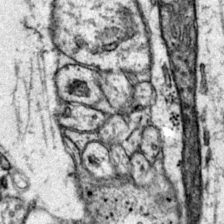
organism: Mouse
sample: Primary visual cortex